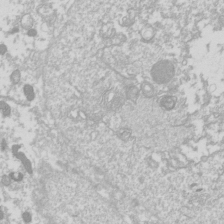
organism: Drosophila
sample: Cell division; meiosis; drosophila spermatocytes